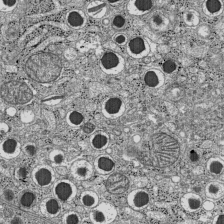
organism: C57BL Mouse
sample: Pancreatic islet